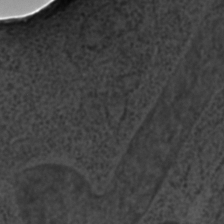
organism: C. elegans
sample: C. elegans embryo